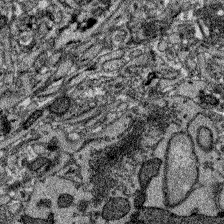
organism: Zebrafish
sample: Larval olfactory bulb